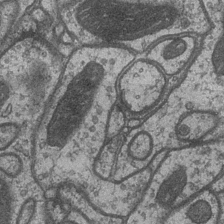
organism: Drosophila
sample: Optic medulla